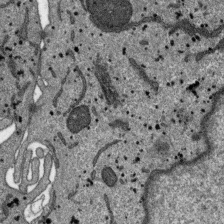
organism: Human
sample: Lung epithelial cells, uninfected (mock) control